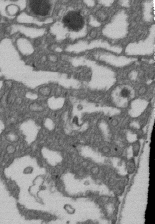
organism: Drosophila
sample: Nephrocyte